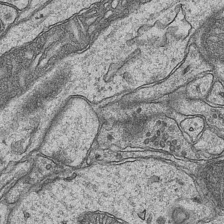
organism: Mouse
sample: CA1 Hippocampus